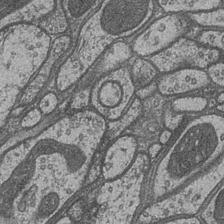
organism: Drosophila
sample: Optic medulla